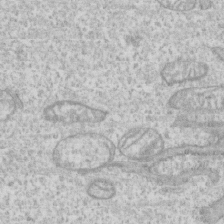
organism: Human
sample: CRL-1474